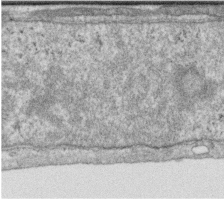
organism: Human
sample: Centriole in RPE cells